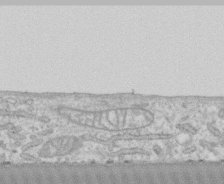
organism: Human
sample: CRL-1474